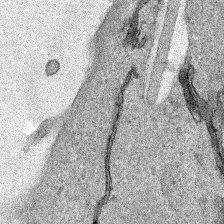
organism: Human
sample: Mitochondria in HCT116 cells